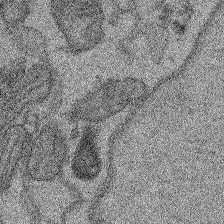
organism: Human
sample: HeLa cells